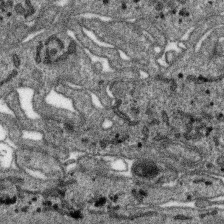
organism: Human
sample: Lung epithelial cells infected with SARS-CoV-2